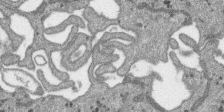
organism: Human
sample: Lung epithelial cells infected with SARS-CoV-2